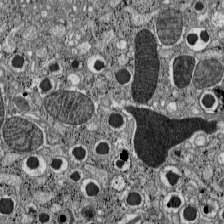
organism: C57BL Mouse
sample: Pancreatic islet